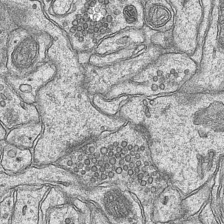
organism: Mouse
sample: CA1 Hippocampus